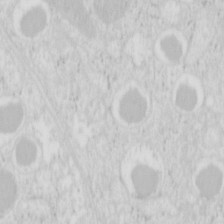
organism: Mouse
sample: Pancreas